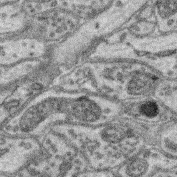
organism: Mouse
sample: Retina